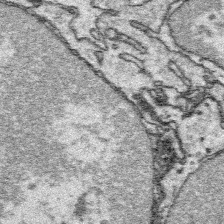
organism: Platynereis dumerilii